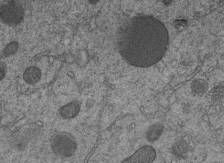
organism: C. elegans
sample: C. elegans embryo early stage